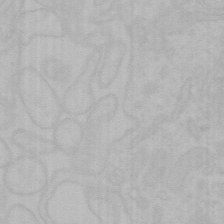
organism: Mouse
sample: Choroid plexus